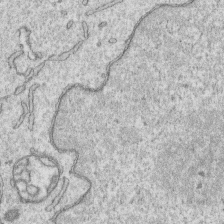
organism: Human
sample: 1205lu cells